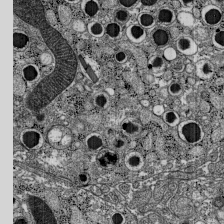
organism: C57BL Mouse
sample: Pancreatic islet